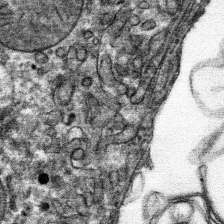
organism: Mouse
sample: Mouse hepatocytes